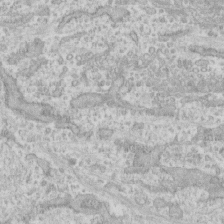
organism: Human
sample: CRL-1474